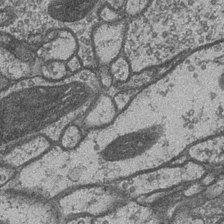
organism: Drosophila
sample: Optic medulla